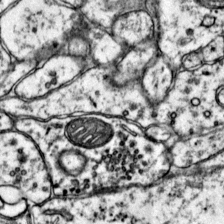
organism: Mouse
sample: Primary visual cortex